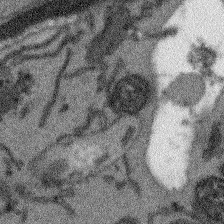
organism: Arabidopsis thaliana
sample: Root tip